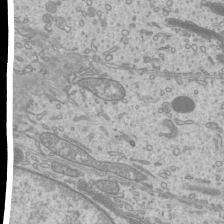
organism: Mouse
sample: Cilia; mouse epididymis